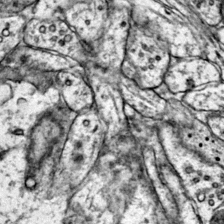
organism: Mouse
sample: Primary visual cortex